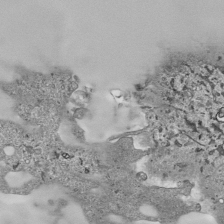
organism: Human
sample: Mitochondria in HCT116 cells